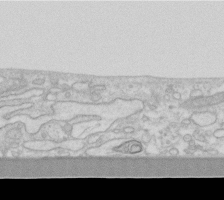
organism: Human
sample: Fibroblast cells